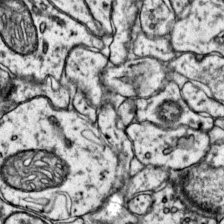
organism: Mouse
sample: Primary visual cortex